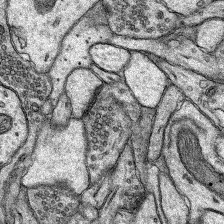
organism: Rat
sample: Hippocampus